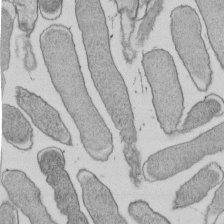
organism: E. coli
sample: Bacterial nucleoid